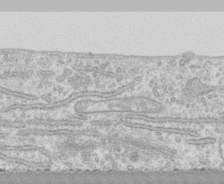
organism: Human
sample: CRL-1474